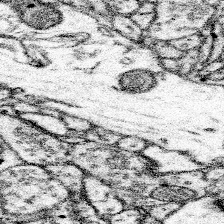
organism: Mouse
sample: Somatosensory cortex neuropil